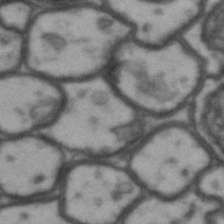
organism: Drosophila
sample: Brain